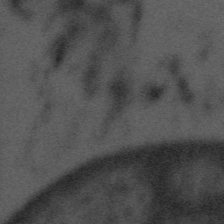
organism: Tuwongella immobilis